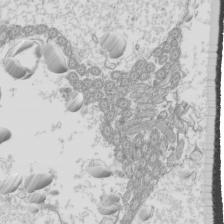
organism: Mouse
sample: Cilia; mouse epididymis